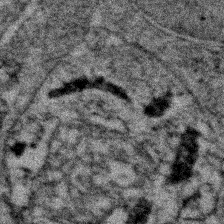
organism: Zebrafish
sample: Zebrafish embryo